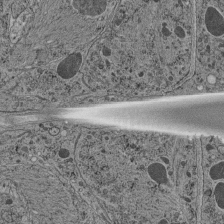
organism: C. elegans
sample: C. elegans pharynx